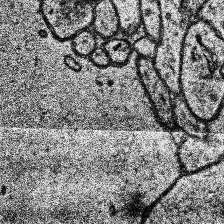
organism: Human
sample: Temporal Lobe